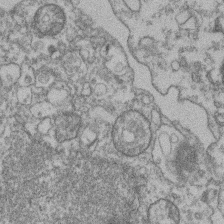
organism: Mouse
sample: T cell stromal cell synapse